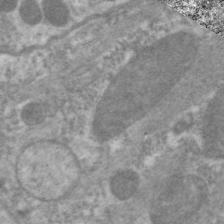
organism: C. elegans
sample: Pharynx